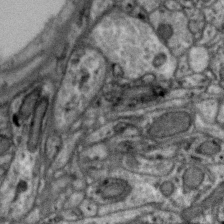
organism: Zebra finch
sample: Brain